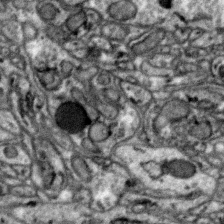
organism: Zebra finch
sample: Brain